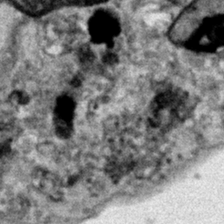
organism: Human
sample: Mitochondria in HCT116 cells